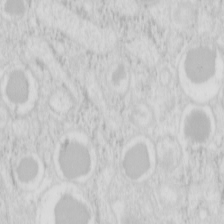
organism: Mouse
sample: Pancreas